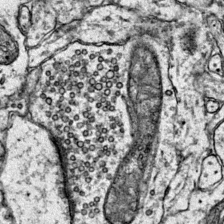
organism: Mouse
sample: Primary visual cortex